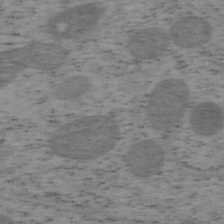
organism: Mouse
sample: OT-I killer T cells with ID8 ovarian cancer cells